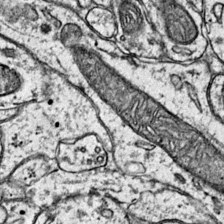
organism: Mouse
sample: Primary visual cortex